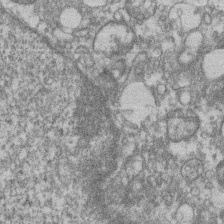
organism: Mouse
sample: T cell stromal cell synapse